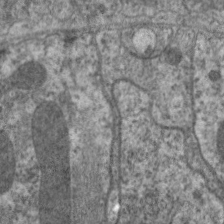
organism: C. elegans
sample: Pharynx